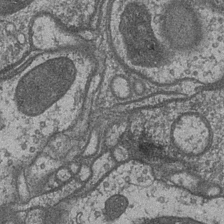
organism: Drosophila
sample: Optic medulla